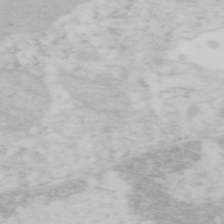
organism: Mouse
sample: OT-I killer T cells with ID8 ovarian cancer cells